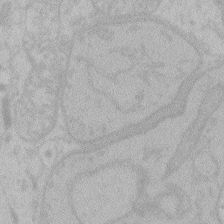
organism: Zebrafish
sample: Macrophage infected with Toxoplasma gondii